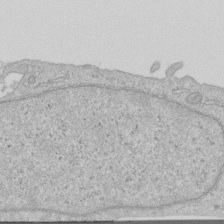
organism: Human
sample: Centriole in RPE cells